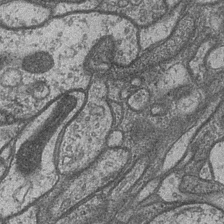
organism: Drosophila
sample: Optic medulla